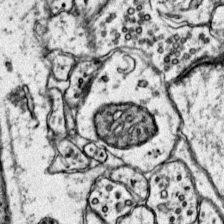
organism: Mouse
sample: Primary visual cortex